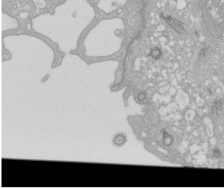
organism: Xenopus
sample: Cilia; centrioles in frog embryo cells